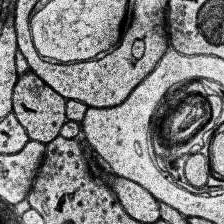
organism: Human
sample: Temporal Lobe